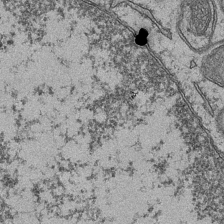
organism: Mouse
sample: CA1 Hippocampus